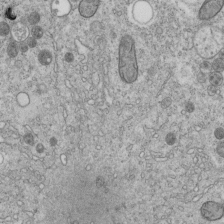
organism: C. elegans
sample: C. elegans embryo early stage